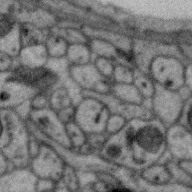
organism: Zebra finch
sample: Brain